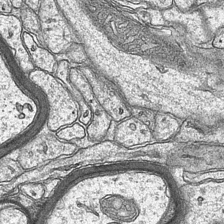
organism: Mouse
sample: CA1 Hippocampus